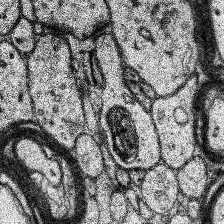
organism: Human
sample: Temporal Lobe